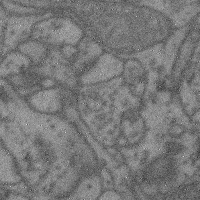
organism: Mouse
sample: Cerebral cortex